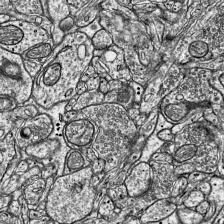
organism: Mouse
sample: Visual Cortex